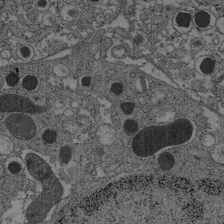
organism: C57BL Mouse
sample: Pancreatic islet